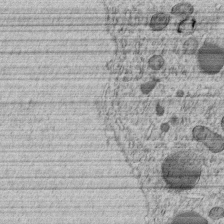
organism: C. elegans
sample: C. elegans embryo early stage